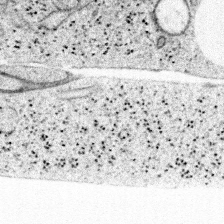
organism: Human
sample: HeLa cells